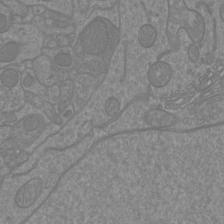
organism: Mouse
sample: Cortical neurons